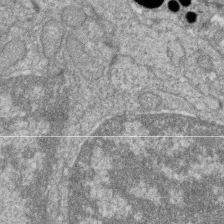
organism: Zebrafish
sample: Cilia; retinal pigment epithelium